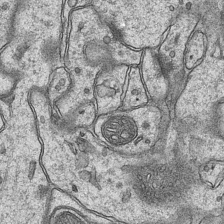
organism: Mouse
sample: CA1 Hippocampus